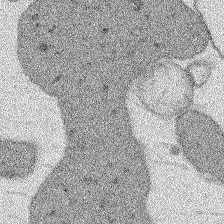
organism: Human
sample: HeLa cells